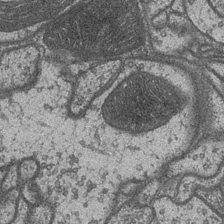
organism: Drosophila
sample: Optic medulla